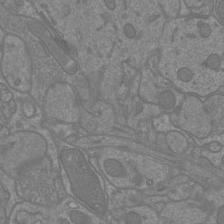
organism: Mouse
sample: Cortical neurons